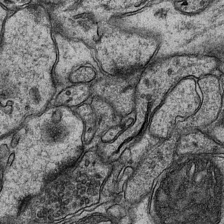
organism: Mouse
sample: CA1 Hippocampus